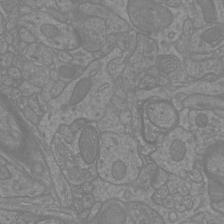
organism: Mouse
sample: Cortical neurons